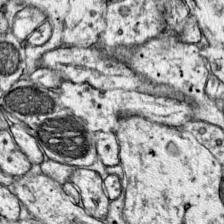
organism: Mouse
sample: Primary visual cortex